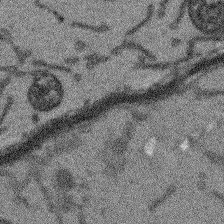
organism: Arabidopsis thaliana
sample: Root tip